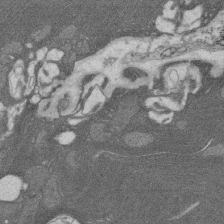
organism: Rat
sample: Salivary granule